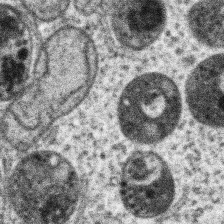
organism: Human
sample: HeLa cells